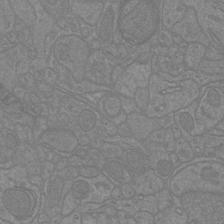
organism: Mouse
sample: Cortical neurons